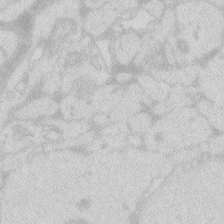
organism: Zebrafish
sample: Macrophage